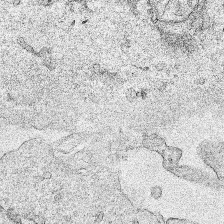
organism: Human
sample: Mitochondria in HCT116 cells